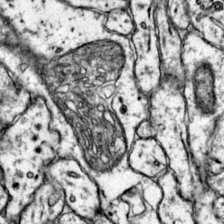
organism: Mouse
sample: Primary visual cortex